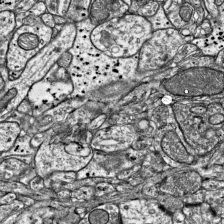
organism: Mouse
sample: Visual Cortex